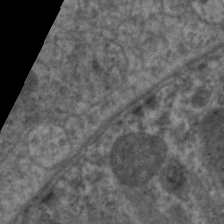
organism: C. elegans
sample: Pharynx